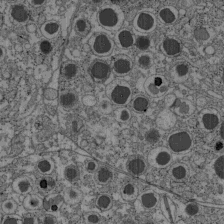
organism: C57BL Mouse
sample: Pancreatic islet